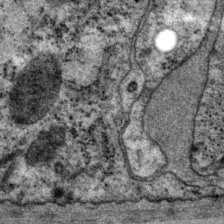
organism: P. pacificus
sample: Pharynx